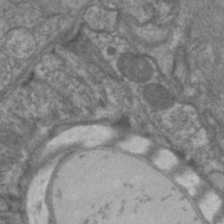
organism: C. elegans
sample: Pharynx